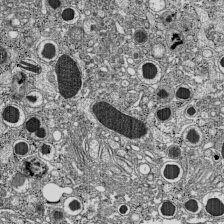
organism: C57BL Mouse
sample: Pancreatic islet